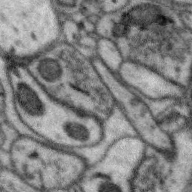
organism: Zebra finch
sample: Brain